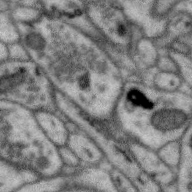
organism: Zebra finch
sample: Brain